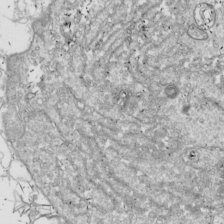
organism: Drosophila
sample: Cell division; meiosis; drosophila spermatocytes